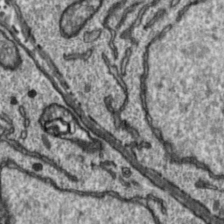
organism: Toxoplasma gondii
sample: Parasites in a vacuole inside a host cell